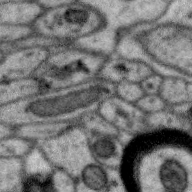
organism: Zebra finch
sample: Brain